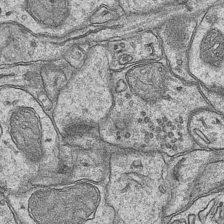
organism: Mouse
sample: CA1 Hippocampus